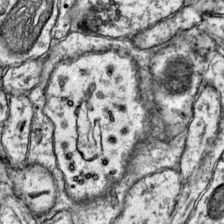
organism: Mouse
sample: Primary visual cortex